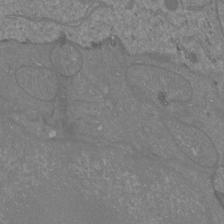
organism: Mouse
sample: Cortical neurons